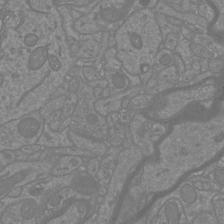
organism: Mouse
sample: Cortical neurons